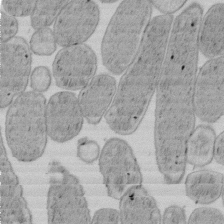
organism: E. coli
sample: Bacterial nucleoid